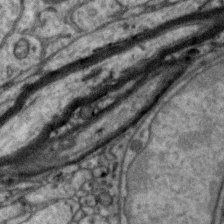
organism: Zebra finch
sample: Brain